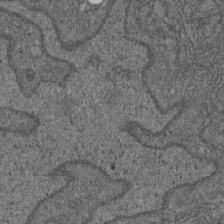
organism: Drosophila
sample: Nephrocyte